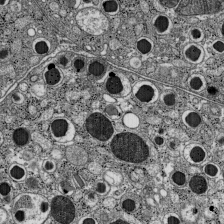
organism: C57BL Mouse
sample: Pancreatic islet